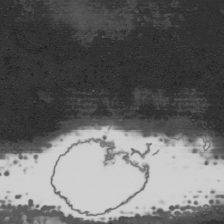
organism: Human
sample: Mitochondria in HCT116 cells